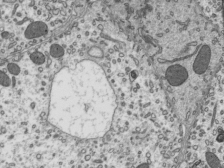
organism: Mouse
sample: Mouse epididymis efferent ductule cilia